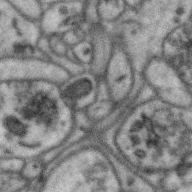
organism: Zebra finch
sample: Brain